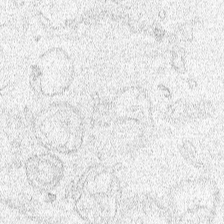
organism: Human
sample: Mitochondria in HCT116 cells